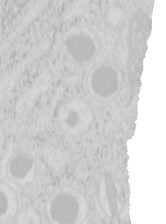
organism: Mouse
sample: Pancreas